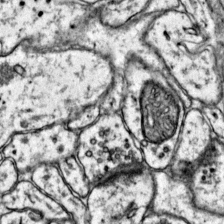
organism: Mouse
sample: Primary visual cortex